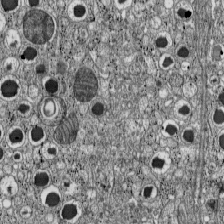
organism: C57BL Mouse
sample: Pancreatic islet